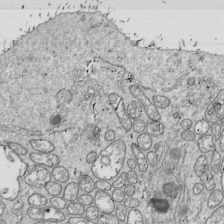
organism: Drosophila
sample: Cell division; meiosis; drosophila spermatocytes